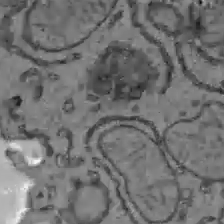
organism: C57BL Mouse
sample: Liver